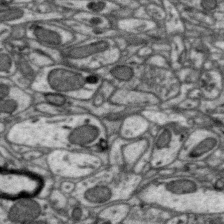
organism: Zebra finch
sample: Brain